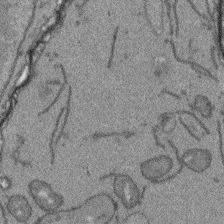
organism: Arabidopsis thaliana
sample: Root tip